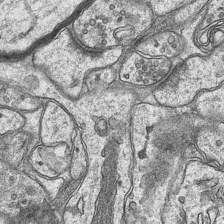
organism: Mouse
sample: CA1 Hippocampus